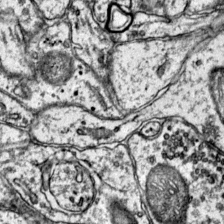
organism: Mouse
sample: Primary visual cortex